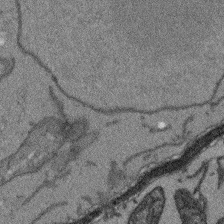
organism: Arabidopsis thaliana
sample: Root tip